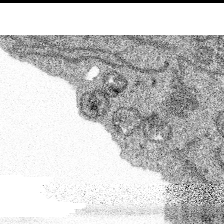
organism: Spongilla lacustris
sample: Multiple